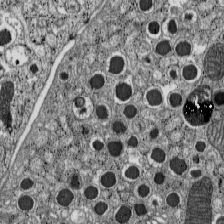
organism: C57BL Mouse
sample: Pancreatic islet